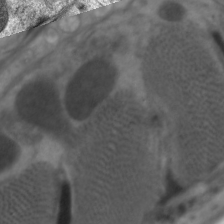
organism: C. elegans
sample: Pharynx